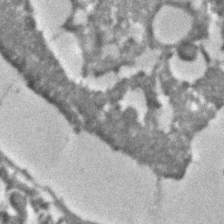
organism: C. elegans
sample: C. elegans embryo